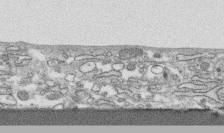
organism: Human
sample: CRL-1474